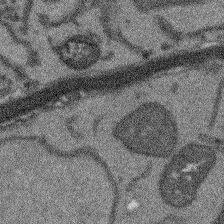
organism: Arabidopsis thaliana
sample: Root tip